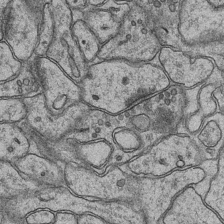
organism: Mouse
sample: CA1 Hippocampus